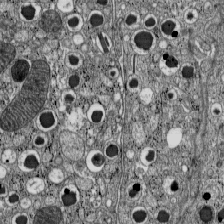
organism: C57BL Mouse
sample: Pancreatic islet